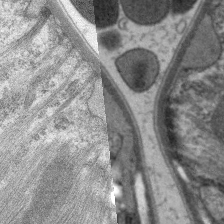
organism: C. elegans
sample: Pharynx